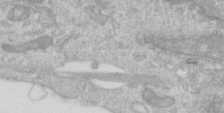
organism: Human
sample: Centriole in RPE cells